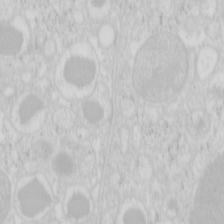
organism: Mouse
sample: Pancreas